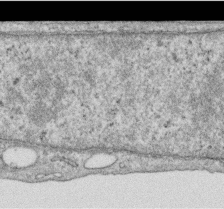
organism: Human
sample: Centriole in RPE cells